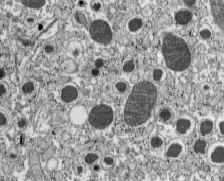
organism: C57BL Mouse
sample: Pancreatic islet